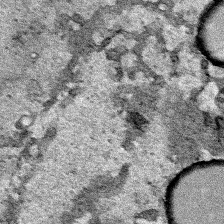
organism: Human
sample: Mitochondria in HCT116 cells